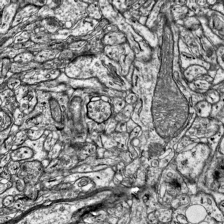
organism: Mouse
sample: Visual Cortex